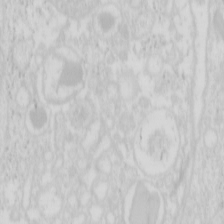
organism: Mouse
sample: Pancreas